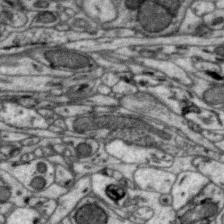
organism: Zebra finch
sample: Brain